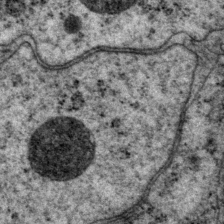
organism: P. pacificus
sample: Pharynx